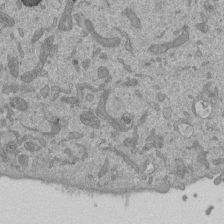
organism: Mouse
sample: ED-1 cell nuclei; centrioles